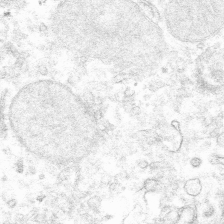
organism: Mouse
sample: Mouse hepatocytes